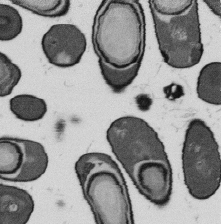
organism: B. subtilis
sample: Bacterial spore